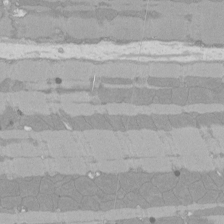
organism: Rat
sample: Left ventricle